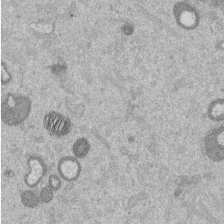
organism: Mouse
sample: Dividing mouse embryo 1 cell stage